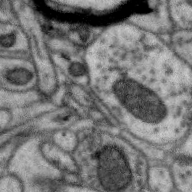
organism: Zebra finch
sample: Brain